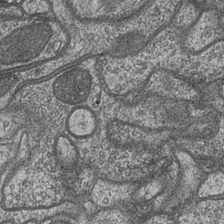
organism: Drosophila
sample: Optic medulla